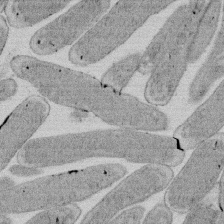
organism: E. coli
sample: Bacterial nucleoid